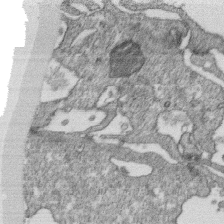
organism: African green monkey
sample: Vero E6 cells infected with SARS-CoV-2